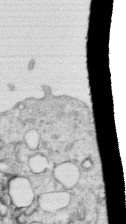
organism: Human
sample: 1205lu cells